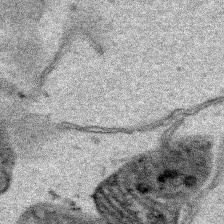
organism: Human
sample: Mitochondria in HCT116 cells